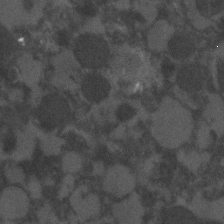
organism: C. elegans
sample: C. elegans embryo